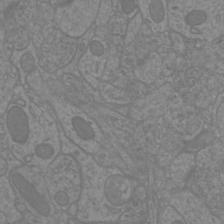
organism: Mouse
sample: Cortical neurons